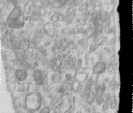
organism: Human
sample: Centriole in RPE cells